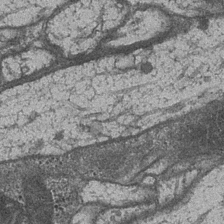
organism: Drosophila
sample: Optic medulla